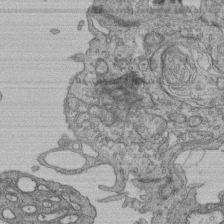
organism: Human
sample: Retinal organoid Rod and Cone cells